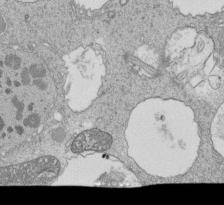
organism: Tetrahymena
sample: Cilia in tetrahymena